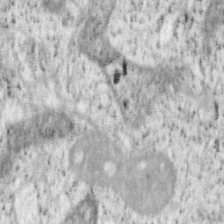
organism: Mouse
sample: OT-I killer T cells with ID8 ovarian cancer cells